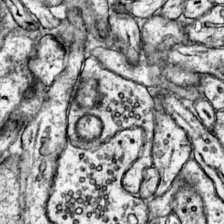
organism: Mouse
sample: Primary visual cortex